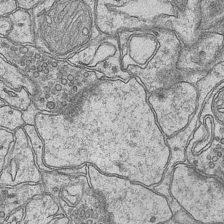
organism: Mouse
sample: CA1 Hippocampus